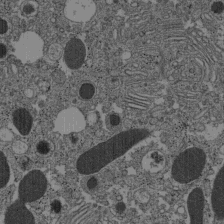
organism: C57BL Mouse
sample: Pancreatic islet